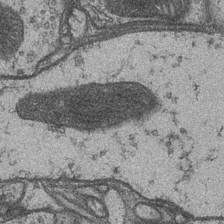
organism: Drosophila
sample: Optic medulla